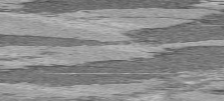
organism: C57BL Mouse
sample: Heart